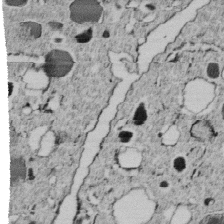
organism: C. elegans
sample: C. elegans embryo early stage